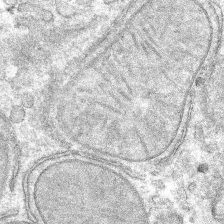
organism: Mouse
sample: Mouse hepatocytes